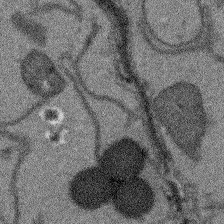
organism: Arabidopsis thaliana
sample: Root tip